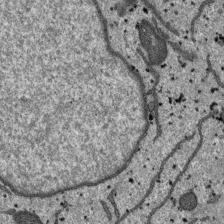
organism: Human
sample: Lung epithelial cells, uninfected (mock) control